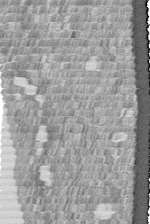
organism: Human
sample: Centriole in fibroblast cells